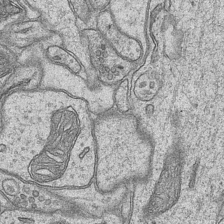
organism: Mouse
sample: CA1 Hippocampus